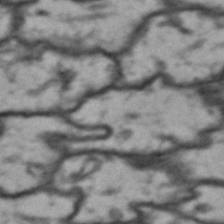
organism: Drosophila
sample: Brain